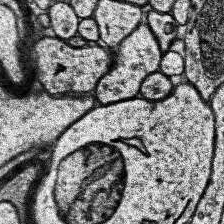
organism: Human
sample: Temporal Lobe